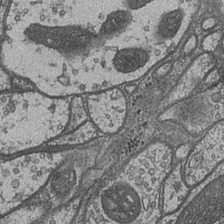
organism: Drosophila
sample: Optic medulla